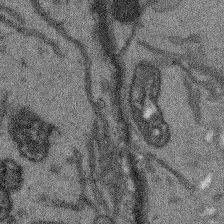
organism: Arabidopsis thaliana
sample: Root tip